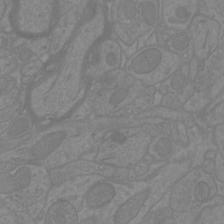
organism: Mouse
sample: Cortical neurons